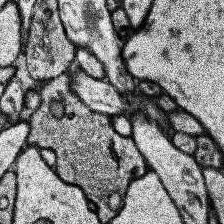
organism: Human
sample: Temporal Lobe